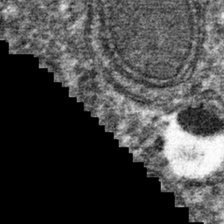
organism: Mouse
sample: Mouse hepatocytes